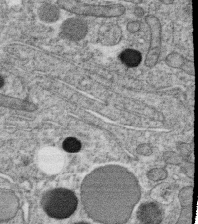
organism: C. elegans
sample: C. elegans oocyte; sperm cells